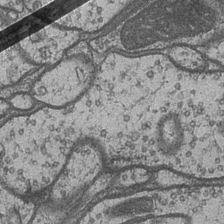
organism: Drosophila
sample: Optic medulla